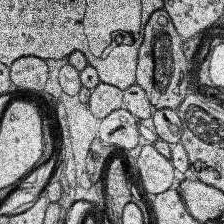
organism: Human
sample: Temporal Lobe